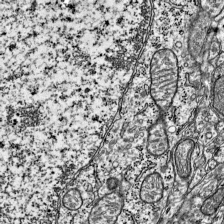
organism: Mouse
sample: Visual Cortex